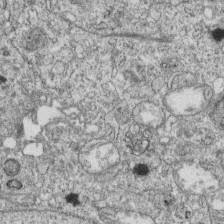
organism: Human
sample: HeLa cell HIV synapse